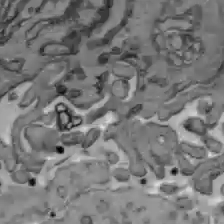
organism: C57BL Mouse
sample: Liver